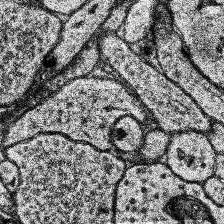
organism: Human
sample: Temporal Lobe